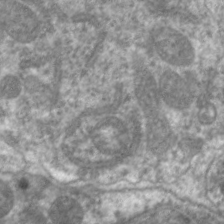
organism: C. elegans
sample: Pharynx